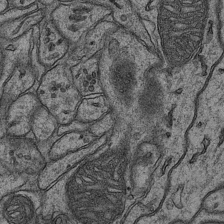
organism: Mouse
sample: CA1 Hippocampus